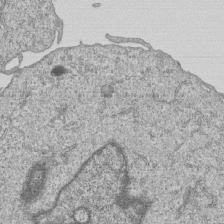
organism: Human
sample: MDA-MB-231 cells